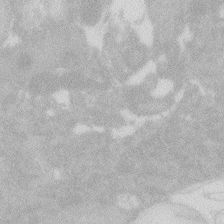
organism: Zebrafish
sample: Macrophage